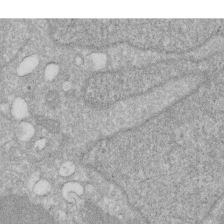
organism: Human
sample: HIV infected U937 cells